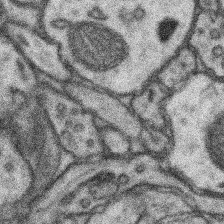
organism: Mouse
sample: Somatosensory cortex neuropil